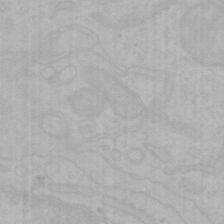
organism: Mouse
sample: Choroid plexus